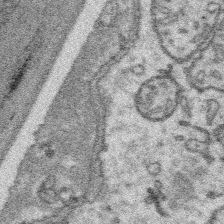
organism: Platynereis dumerilii